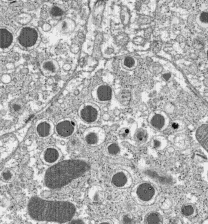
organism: C57BL Mouse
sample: Pancreatic islet